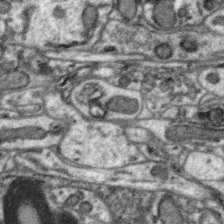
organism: Zebra finch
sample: Brain